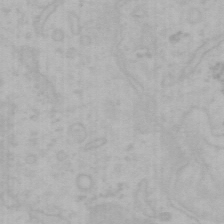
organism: Mouse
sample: Choroid plexus